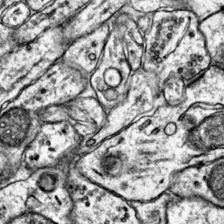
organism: Mouse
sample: Primary visual cortex